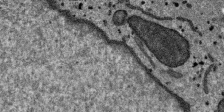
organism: Human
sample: Lung epithelial cells, uninfected (mock) control